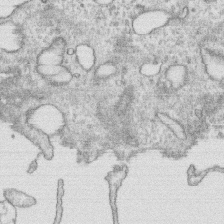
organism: Human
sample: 1205lu cells